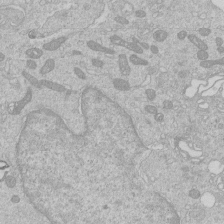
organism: Human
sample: Macrophage cells